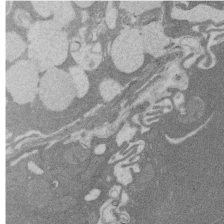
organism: Rat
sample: Salivary granule